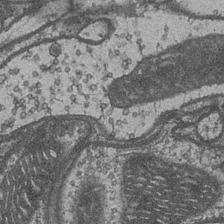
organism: Drosophila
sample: Optic medulla